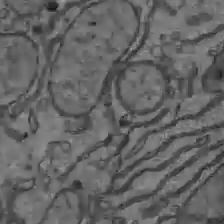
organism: C57BL Mouse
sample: Liver